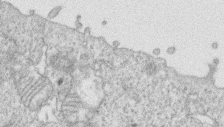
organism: Human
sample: HeLa cell HIV synapse